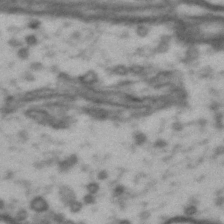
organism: Drosophila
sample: Brain